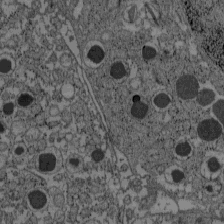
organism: C57BL Mouse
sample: Pancreatic islet